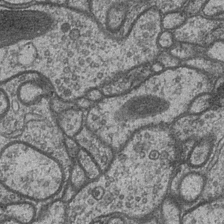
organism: Drosophila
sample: Optic medulla